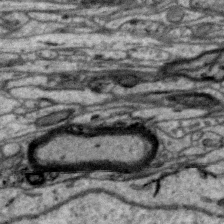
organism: Zebra finch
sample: Brain